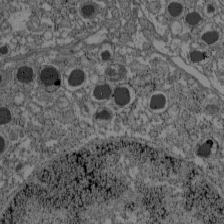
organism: C57BL Mouse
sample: Pancreatic islet